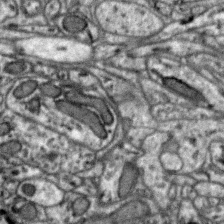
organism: Zebra finch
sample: Brain